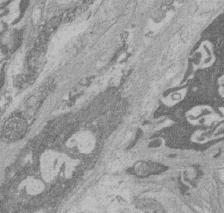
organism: Rat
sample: Salivary granule